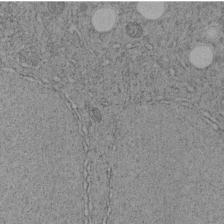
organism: C. elegans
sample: C. elegans embryo early stage